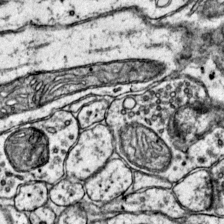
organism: Mouse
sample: Primary visual cortex